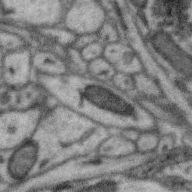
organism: Zebra finch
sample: Brain